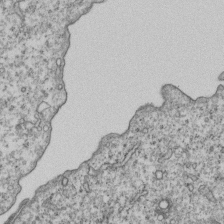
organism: Human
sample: MDA-MB-231 cells